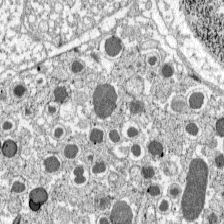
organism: C57BL Mouse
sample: Pancreatic islet